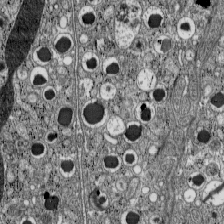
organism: C57BL Mouse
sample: Pancreatic islet